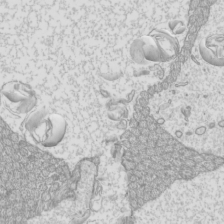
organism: Mouse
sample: Cilia; mouse epididymis